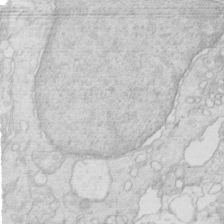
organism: Mouse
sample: Multiciliated cells